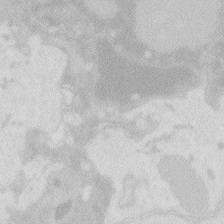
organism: Zebrafish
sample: Macrophage